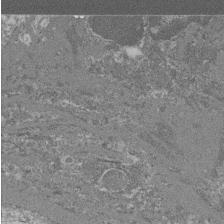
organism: Mouse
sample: Glomerulus